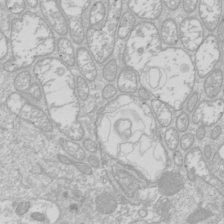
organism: Drosophila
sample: Cell division; meiosis; drosophila spermatocytes